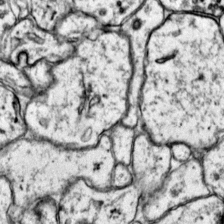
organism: Mouse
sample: Primary visual cortex